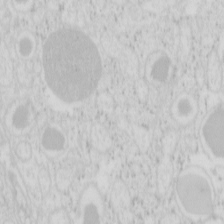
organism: Mouse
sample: Pancreas